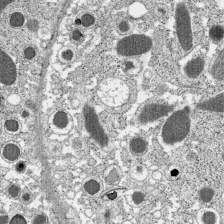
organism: C57BL Mouse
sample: Pancreatic islet